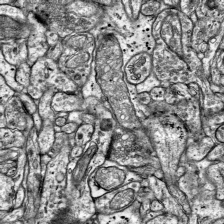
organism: Mouse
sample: Visual Cortex